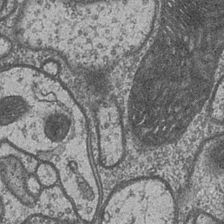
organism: Drosophila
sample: Optic medulla